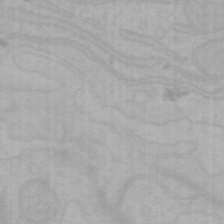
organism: Mouse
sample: Choroid plexus